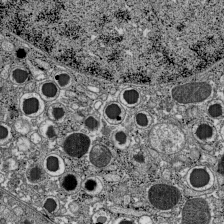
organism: C57BL Mouse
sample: Pancreatic islet